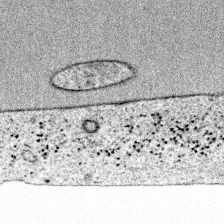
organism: Human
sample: HeLa cells